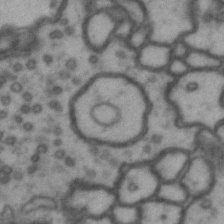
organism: Drosophila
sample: Brain